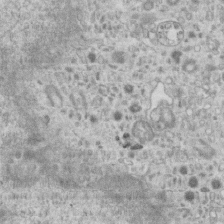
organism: Mouse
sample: Centriole in ependymal cells